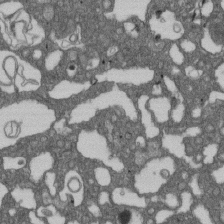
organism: Drosophila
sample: Nephrocyte